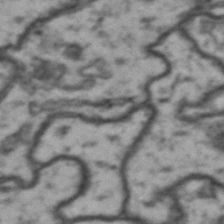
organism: Drosophila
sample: Brain